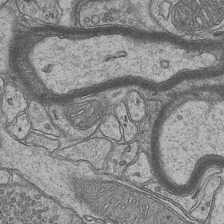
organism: Mouse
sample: CA1 Hippocampus